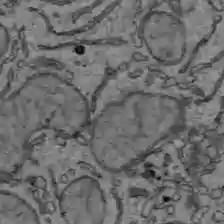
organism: C57BL Mouse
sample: Liver